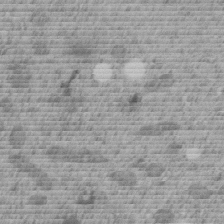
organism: C. elegans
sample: C. elegans embryo early stage